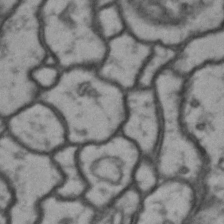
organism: Drosophila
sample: Brain